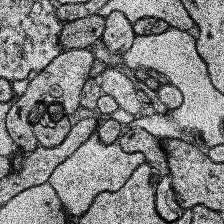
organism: Human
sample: Temporal Lobe